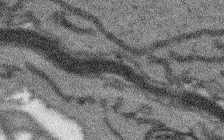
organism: Arabidopsis thaliana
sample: Root tip